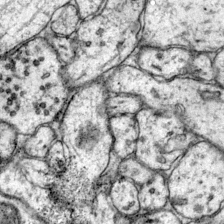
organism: Mouse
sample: Primary visual cortex